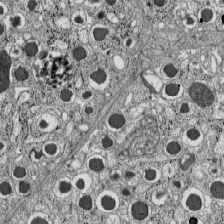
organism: C57BL Mouse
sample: Pancreatic islet